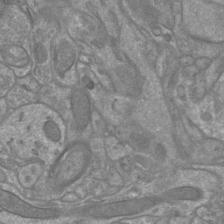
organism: Mouse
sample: Cortical neurons